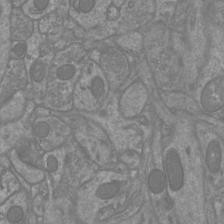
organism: Mouse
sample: Cortical neurons